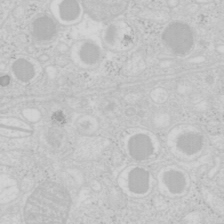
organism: Mouse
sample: Pancreas